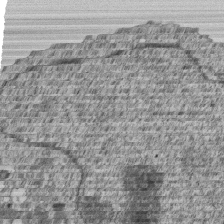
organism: Human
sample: MDA-MB-231 cells